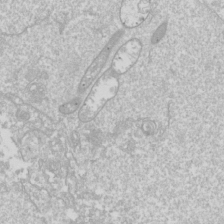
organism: Drosophila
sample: Cell division; meiosis; drosophila spermatocytes